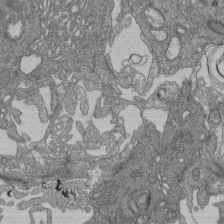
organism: Human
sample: Retinal organoid Rod and Cone cells